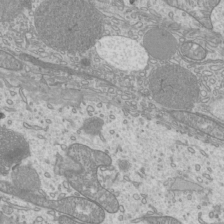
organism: Mouse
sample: Cilia; mouse epididymis